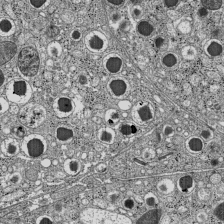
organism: C57BL Mouse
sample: Pancreatic islet